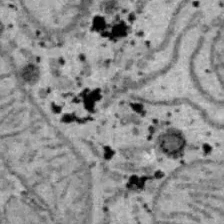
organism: Mouse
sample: Liver from an obese (ob/ob) mouse